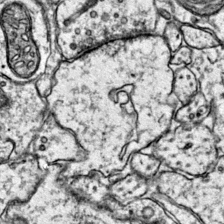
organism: Mouse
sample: Primary visual cortex